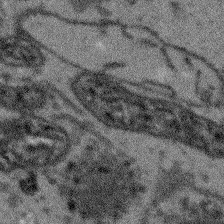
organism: Arabidopsis thaliana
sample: Root tip